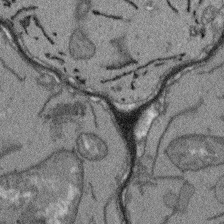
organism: Arabidopsis thaliana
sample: Root tip